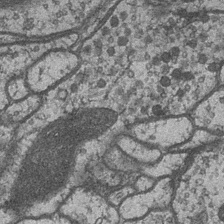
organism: Drosophila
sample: Optic medulla